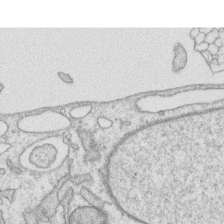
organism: Human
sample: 1205lu cells